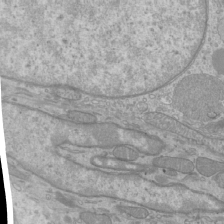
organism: Mouse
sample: Cilia; mouse epididymis